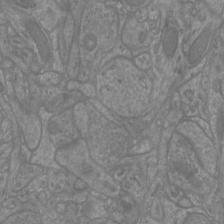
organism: Mouse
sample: Cortical neurons